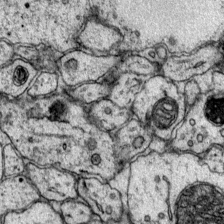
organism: Mouse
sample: Primary visual cortex